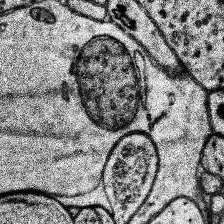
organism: Human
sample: Temporal Lobe